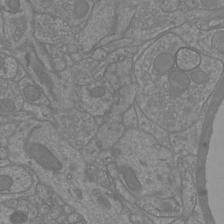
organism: Mouse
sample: Cortical neurons